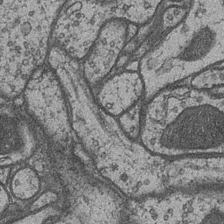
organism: Drosophila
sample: Optic medulla